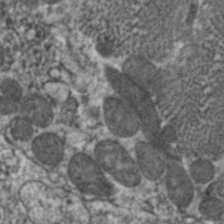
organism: C. elegans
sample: Pharynx